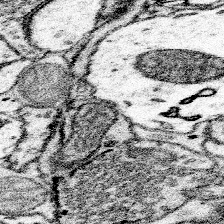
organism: Mouse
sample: Somatosensory cortex neuropil